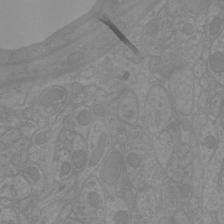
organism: Mouse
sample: Cortical neurons